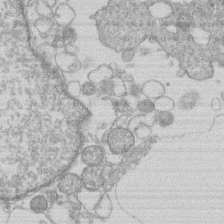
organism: Human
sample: Macrophage cells